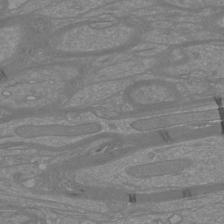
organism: Mouse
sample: Cortical neurons